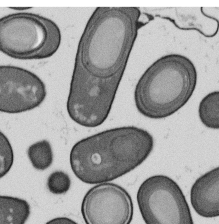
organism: B. subtilis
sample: Bacterial spore